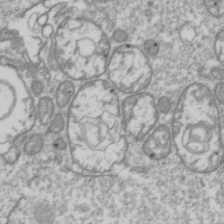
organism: Drosophila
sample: Cell division; meiosis; drosophila spermatocytes